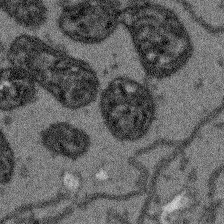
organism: Arabidopsis thaliana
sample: Root tip